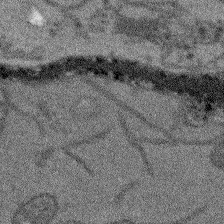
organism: Arabidopsis thaliana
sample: Root tip